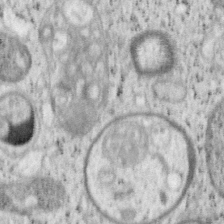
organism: Mouse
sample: OT-I killer T cells with ID8 ovarian cancer cells